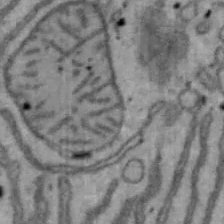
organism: Mouse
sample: Liver